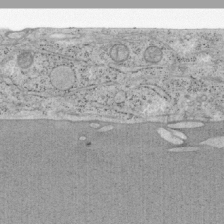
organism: Human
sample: HeLa cells